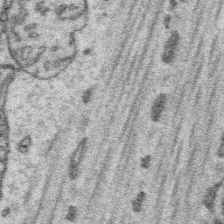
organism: Platynereis dumerilii